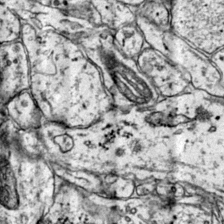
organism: Mouse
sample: Primary visual cortex